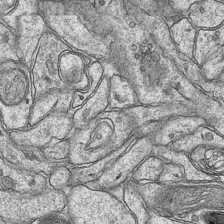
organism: Mouse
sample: CA1 Hippocampus